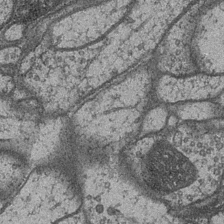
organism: Drosophila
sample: Optic medulla